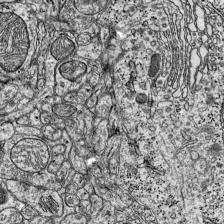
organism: Mouse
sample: Visual Cortex